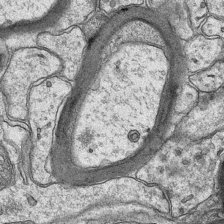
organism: Mouse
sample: CA1 Hippocampus